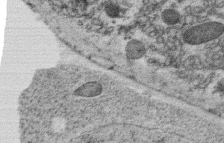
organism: C. elegans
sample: C. elegans oocyte; sperm cells